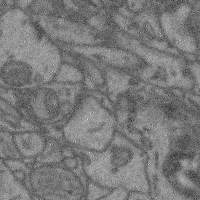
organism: Mouse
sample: Cerebral cortex